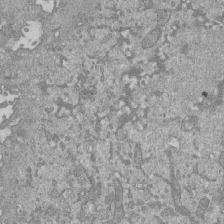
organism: Mouse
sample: ED-1 cell nuclei; centrioles